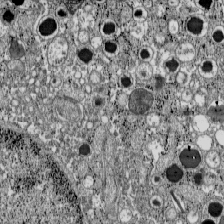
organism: C57BL Mouse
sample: Pancreatic islet